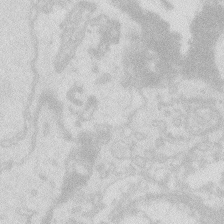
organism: Zebrafish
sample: Macrophage